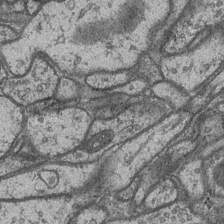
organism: Drosophila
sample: Optic medulla